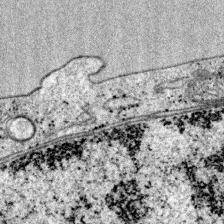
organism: Human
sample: HeLa cells